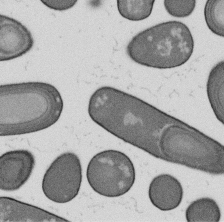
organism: B. subtilis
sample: Bacterial spore